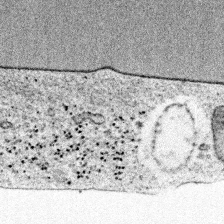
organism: Human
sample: HeLa cells